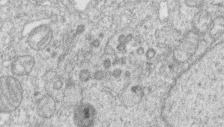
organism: Human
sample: HeLa cell HIV synapse